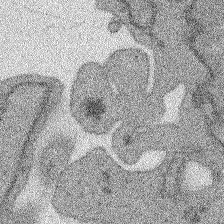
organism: Human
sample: HeLa cells